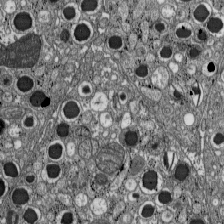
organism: C57BL Mouse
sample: Pancreatic islet